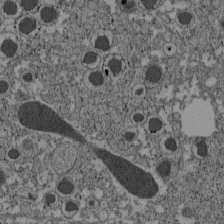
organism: C57BL Mouse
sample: Pancreatic islet